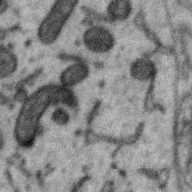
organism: Zebra finch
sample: Brain